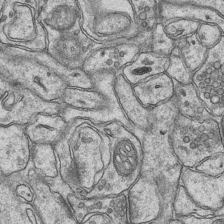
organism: Mouse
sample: CA1 Hippocampus